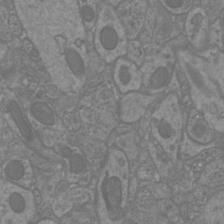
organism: Mouse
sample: Cortical neurons